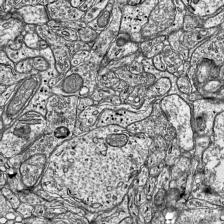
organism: Mouse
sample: Visual Cortex